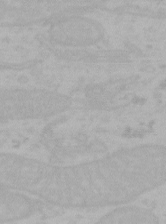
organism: Mouse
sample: Choroid plexus